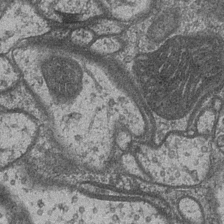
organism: Drosophila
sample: Optic medulla